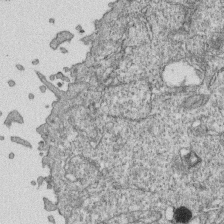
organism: Human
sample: HeLa cell HIV synapse